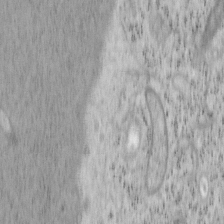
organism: Human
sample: HeLa cells